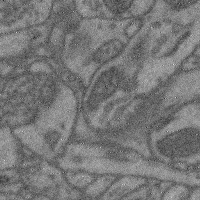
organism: Mouse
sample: Cerebral cortex